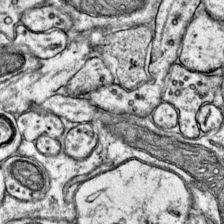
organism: Mouse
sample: Primary visual cortex